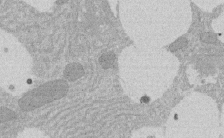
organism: Rat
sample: Salivary granule